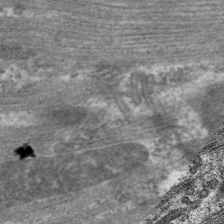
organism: C. elegans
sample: Pharynx